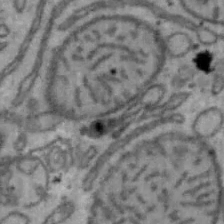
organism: Mouse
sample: Liver